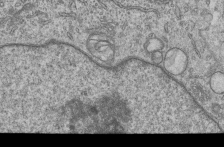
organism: Human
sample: MDA-MB-231 cells